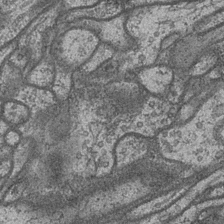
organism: Drosophila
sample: Optic medulla